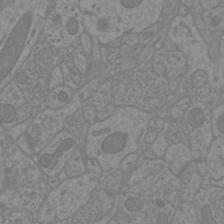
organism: Mouse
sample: Cortical neurons